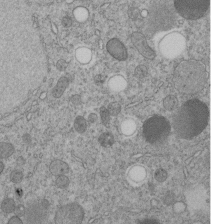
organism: C. elegans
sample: C. elegans embryo early stage